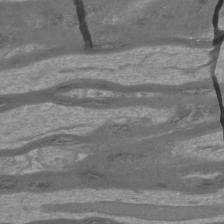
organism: Mouse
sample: Cortical neurons